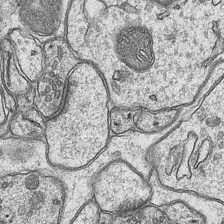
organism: Mouse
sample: CA1 Hippocampus